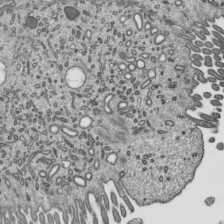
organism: Mouse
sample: Mouse epididymis efferent ductule cilia